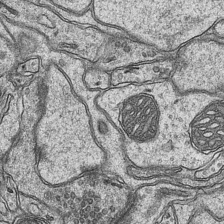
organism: Mouse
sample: CA1 Hippocampus